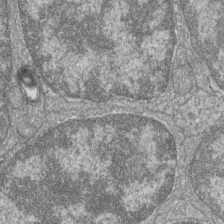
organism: Zebrafish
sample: Cilia; retinal pigment epithelium